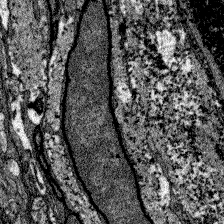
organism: Zebrafish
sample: Larval olfactory bulb